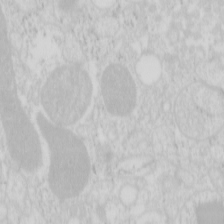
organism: Mouse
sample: Pancreas